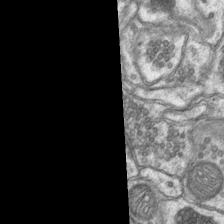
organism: Mouse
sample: CA1 Hippocampus